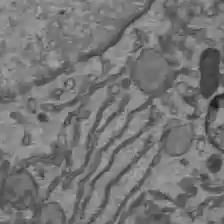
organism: C57BL Mouse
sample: Liver